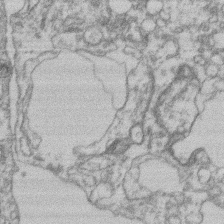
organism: Mouse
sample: T cell stromal cell synapse